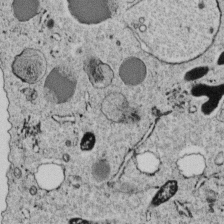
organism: C. elegans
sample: C. elegans embryo early stage